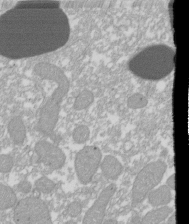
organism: Xenopus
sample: Cilia; centrioles in frog embryo cells